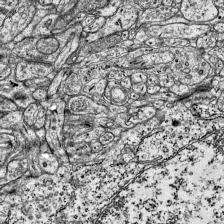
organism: Mouse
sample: Visual Cortex